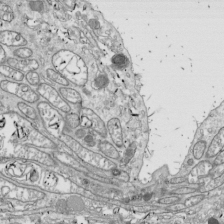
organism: Drosophila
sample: Cell division; meiosis; drosophila spermatocytes